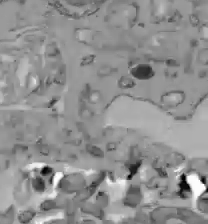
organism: C57BL Mouse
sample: Liver